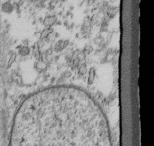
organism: Mouse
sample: Cilia; retinal pigment epithelium